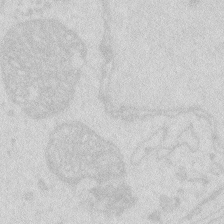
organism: Zebrafish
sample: Macrophage